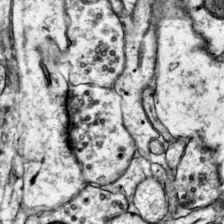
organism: Mouse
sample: Primary visual cortex